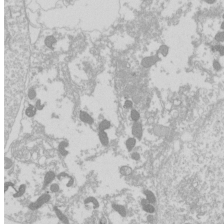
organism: Drosophila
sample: Cell division; meiosis; drosophila spermatocytes